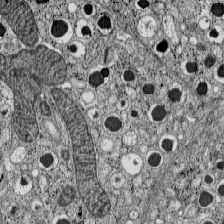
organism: C57BL Mouse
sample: Pancreatic islet